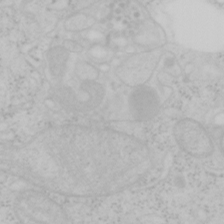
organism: Mouse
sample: OT-I killer T cells with ID8 ovarian cancer cells